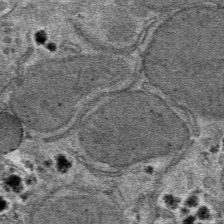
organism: Mouse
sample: Mouse hepatocytes